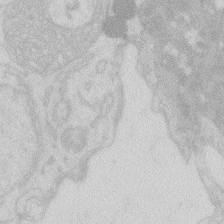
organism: Zebrafish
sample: Macrophage